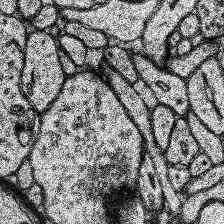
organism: Human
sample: Temporal Lobe